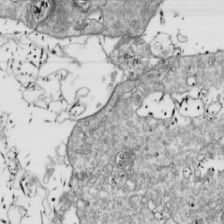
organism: Drosophila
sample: Cell division; meiosis; drosophila spermatocytes